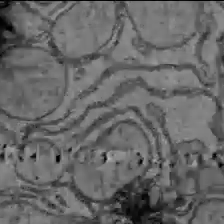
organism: C57BL Mouse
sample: Liver